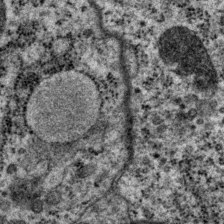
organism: P. pacificus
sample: Pharynx